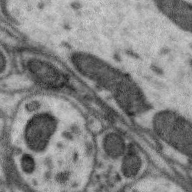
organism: Zebra finch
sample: Brain